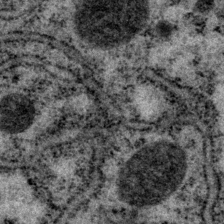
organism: P. pacificus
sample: Pharynx